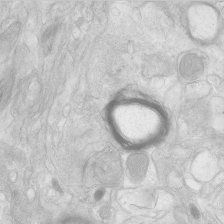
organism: Human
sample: Neocortex